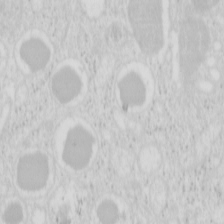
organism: Mouse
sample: Pancreas